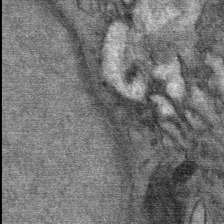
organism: Mouse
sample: Mouse Salivary gland